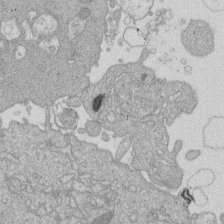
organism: Human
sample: Macrophage cells